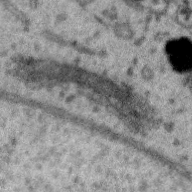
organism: Zebra finch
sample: Brain